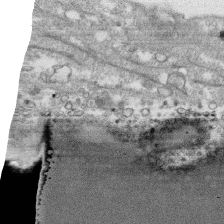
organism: Human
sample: CRL-1474